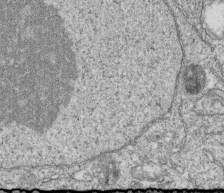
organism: Human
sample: HeLa cell HIV synapse